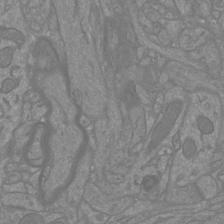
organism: Mouse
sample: Cortical neurons